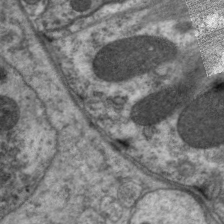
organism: C. elegans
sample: Pharynx